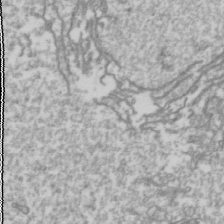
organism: Drosophila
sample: Cell division; meiosis; drosophila spermatocytes